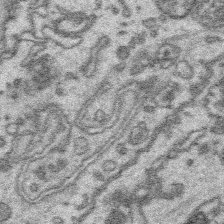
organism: Platynereis dumerilii